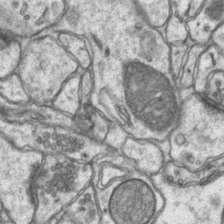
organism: Mouse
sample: CA1 Hippocampus